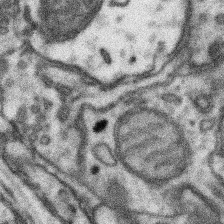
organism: Mouse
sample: Somatosensory cortex neuropil